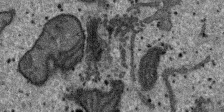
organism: Human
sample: Lung epithelial cells, uninfected (mock) control